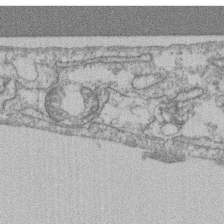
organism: Mouse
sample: T cell stromal cell synapse